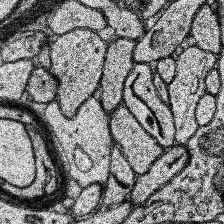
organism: Human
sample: Temporal Lobe